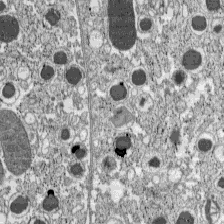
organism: C57BL Mouse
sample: Pancreatic islet